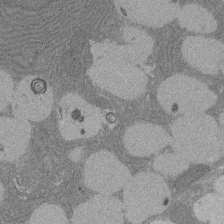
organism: Rat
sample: Salivary granule